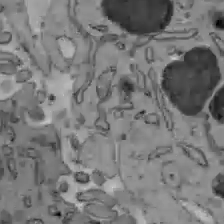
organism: C57BL Mouse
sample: Liver